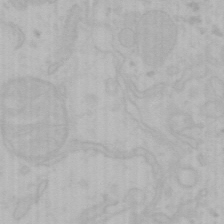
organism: Mouse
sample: Choroid plexus